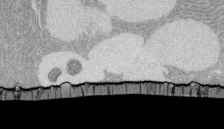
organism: Rat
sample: Salivary granule